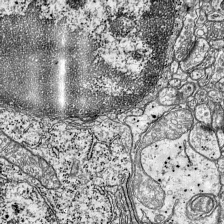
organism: Mouse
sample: Visual Cortex